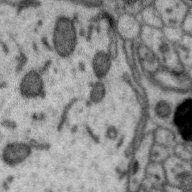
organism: Zebra finch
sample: Brain